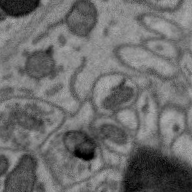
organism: Zebra finch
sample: Brain